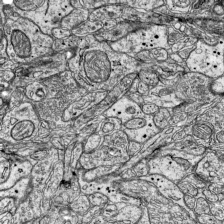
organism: Mouse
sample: Visual Cortex